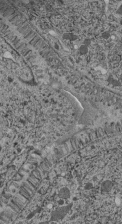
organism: C. elegans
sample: C. elegans pharynx